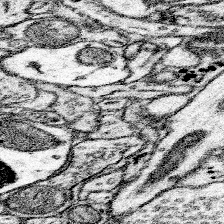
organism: Mouse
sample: Somatosensory cortex neuropil